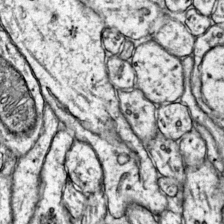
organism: Mouse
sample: Primary visual cortex